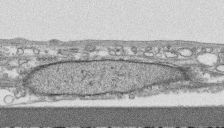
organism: Human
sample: CRL-1474